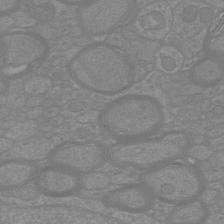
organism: Mouse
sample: Cortical neurons